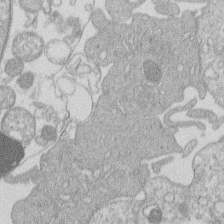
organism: Human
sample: Macrophage cells